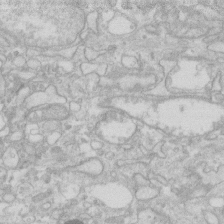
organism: Human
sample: Fibroblast cells